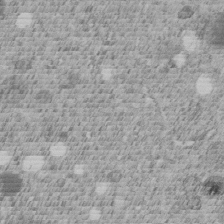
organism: C. elegans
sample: C. elegans embryo early stage